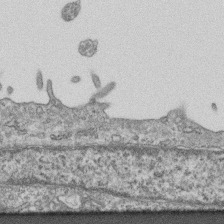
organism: Mouse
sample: Centriole in ependymal cells